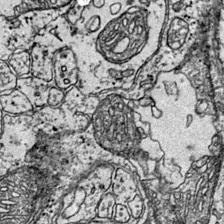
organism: Mouse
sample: Primary visual cortex